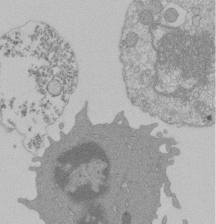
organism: Mouse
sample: Activated Pmel transgenic CD8+ T Cells